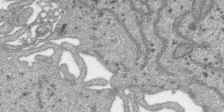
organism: Human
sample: Lung epithelial cells infected with SARS-CoV-2